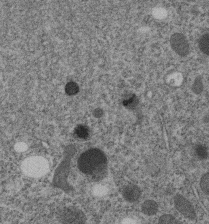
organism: C. elegans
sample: C. elegans embryo early stage